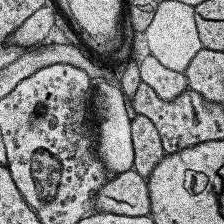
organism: Human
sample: Temporal Lobe